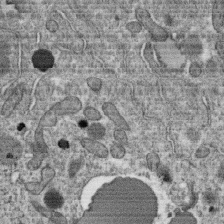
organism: C. elegans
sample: C. elegans oocyte; sperm cells